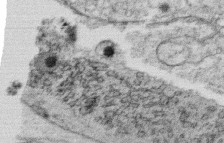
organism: C. elegans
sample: C. elegans oocyte; sperm cells